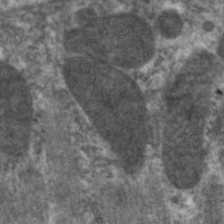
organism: C. elegans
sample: Pharynx